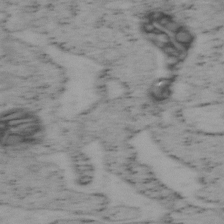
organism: Mouse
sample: OT-I killer T cells with ID8 ovarian cancer cells